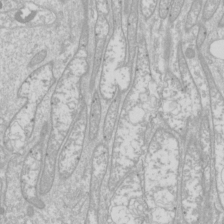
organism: Drosophila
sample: Cell division; meiosis; drosophila spermatocytes